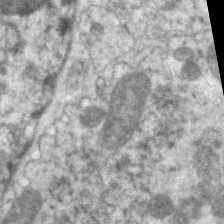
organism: C. elegans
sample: Pharynx